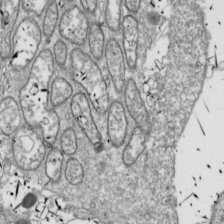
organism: Drosophila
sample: Cell division; meiosis; drosophila spermatocytes